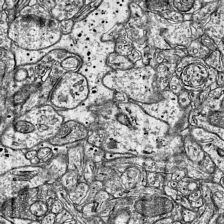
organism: Mouse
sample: Visual Cortex